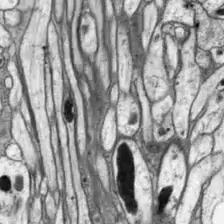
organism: Drosophila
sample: Optic lobe